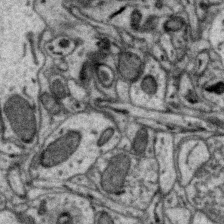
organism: Zebra finch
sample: Brain